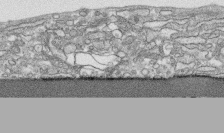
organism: Human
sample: CRL-1474